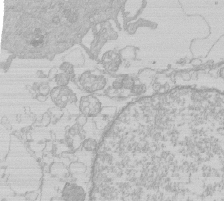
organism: Human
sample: Macrophage cells